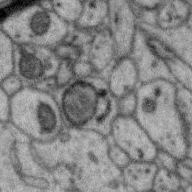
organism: Zebra finch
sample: Brain